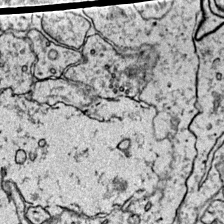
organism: Mouse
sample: Primary visual cortex